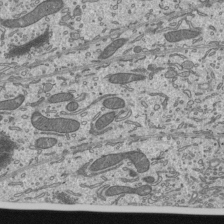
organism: Mouse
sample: Mouse epididymis efferent ductule cilia